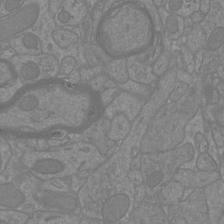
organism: Mouse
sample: Cortical neurons